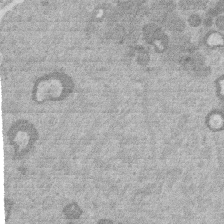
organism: Mouse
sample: Dividing mouse embryo 1 cell stage